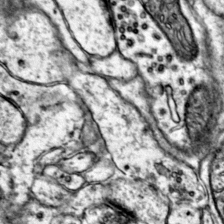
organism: Mouse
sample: Primary visual cortex